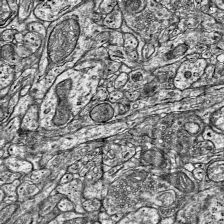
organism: Mouse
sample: Visual Cortex